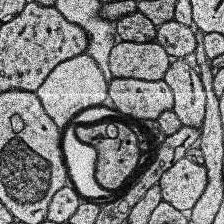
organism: Human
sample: Temporal Lobe